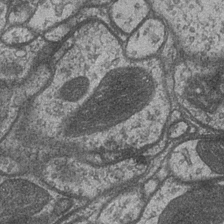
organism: Drosophila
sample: Optic medulla